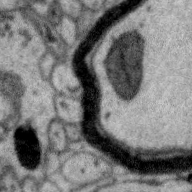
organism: Zebra finch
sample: Brain